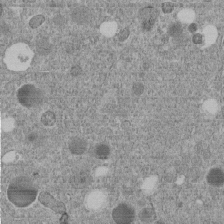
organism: C. elegans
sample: C. elegans embryo early stage